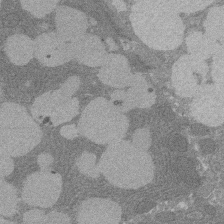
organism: Rat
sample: Salivary granule